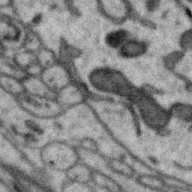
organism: Zebra finch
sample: Brain